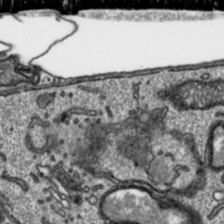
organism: Toxoplasma gondii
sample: Parasites in a vacuole inside a host cell